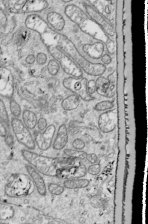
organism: Drosophila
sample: Cell division; meiosis; drosophila spermatocytes